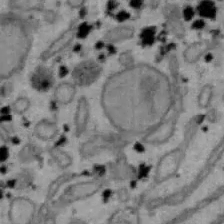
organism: Mouse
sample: Liver